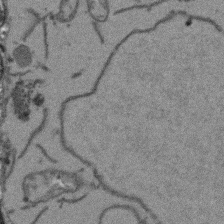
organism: Arabidopsis thaliana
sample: Root tip